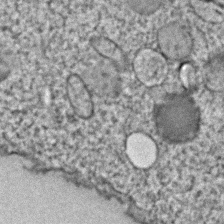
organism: C. elegans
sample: C. elegans embryo